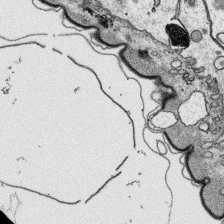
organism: Platynereis dumerilii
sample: Parapodia